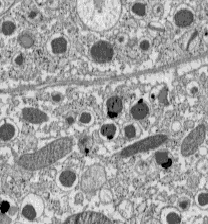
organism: C57BL Mouse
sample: Pancreatic islet